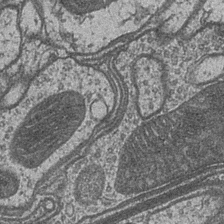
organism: Drosophila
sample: Optic medulla